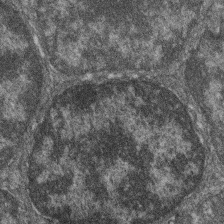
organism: Zebrafish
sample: Cilia; retinal pigment epithelium